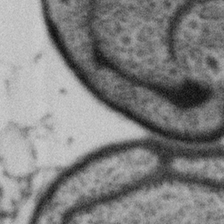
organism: Gemmata obscuriglobus